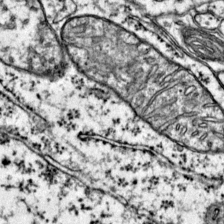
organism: Mouse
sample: Primary visual cortex